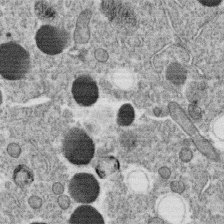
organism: C. elegans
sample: C. elegans oocyte; sperm cells